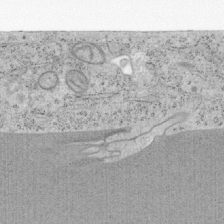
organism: Human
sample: HeLa cells